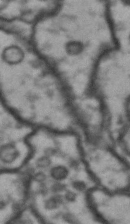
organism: Drosophila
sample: Brain